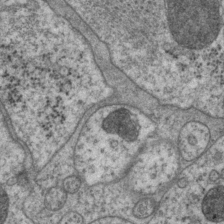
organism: P. pacificus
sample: Pharynx